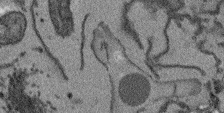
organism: Arabidopsis thaliana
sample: Root tip